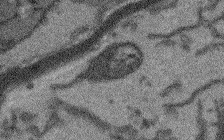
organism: Arabidopsis thaliana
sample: Root tip